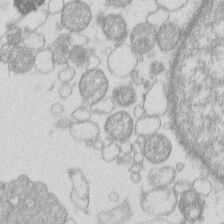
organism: Human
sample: Macrophage cells